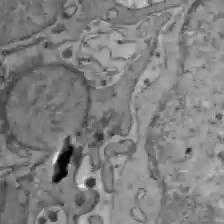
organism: C57BL Mouse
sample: Liver